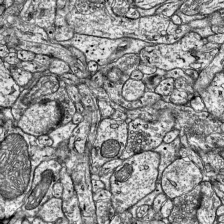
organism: Mouse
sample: Visual Cortex